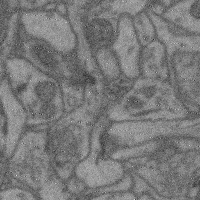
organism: Mouse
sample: Cerebral cortex